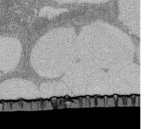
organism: Rat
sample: Salivary granule